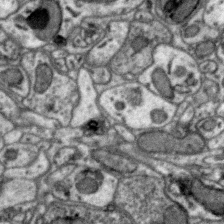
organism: Zebra finch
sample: Brain